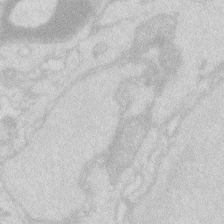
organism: Zebrafish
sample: Macrophage